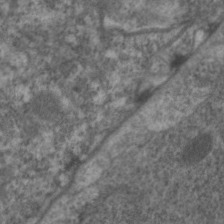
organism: C. elegans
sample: Pharynx